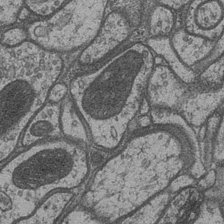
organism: Drosophila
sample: Optic medulla